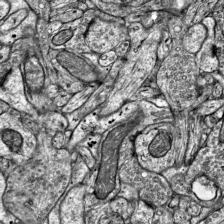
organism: Mouse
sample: Visual Cortex